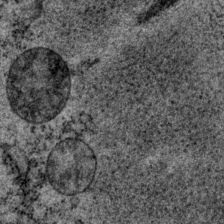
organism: P. pacificus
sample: Pharynx